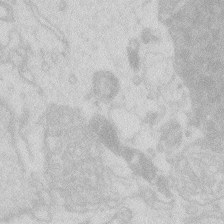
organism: Zebrafish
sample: Macrophage